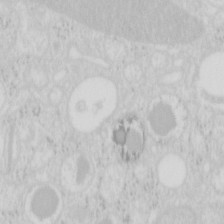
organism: Mouse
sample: Pancreas